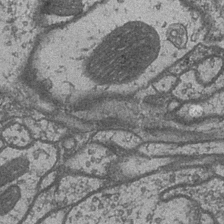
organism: Drosophila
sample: Optic medulla